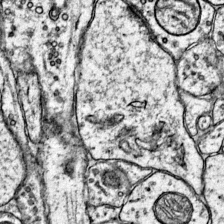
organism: Mouse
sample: Primary visual cortex